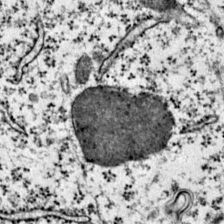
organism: Mouse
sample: Primary visual cortex